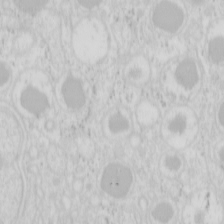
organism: Mouse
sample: Pancreas